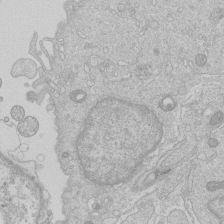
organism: Human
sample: Macrophage cells